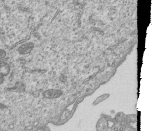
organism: Human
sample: MDA-MB-231 cells